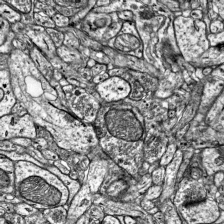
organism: Mouse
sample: Visual Cortex